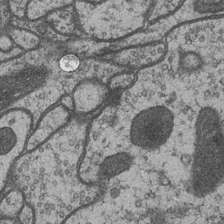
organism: Drosophila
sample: Optic medulla